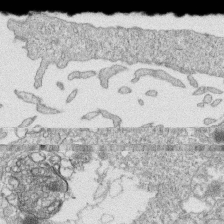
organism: Human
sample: HeLa cell HIV synapse